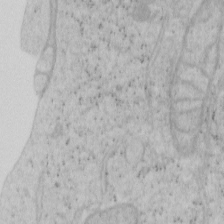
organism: Human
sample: HeLa cells